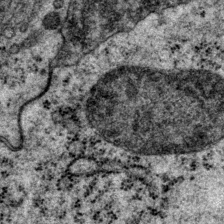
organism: P. pacificus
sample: Pharynx